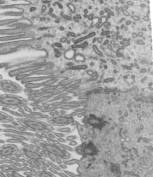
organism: Mouse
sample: Mouse epididymis efferent ductule cilia